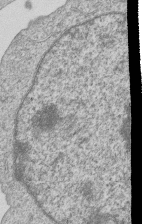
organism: Human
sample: MDA-MB-231 cells